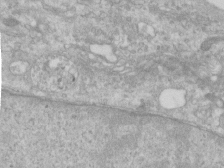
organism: Human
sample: Centriole in RPE cells